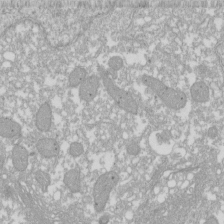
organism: Xenopus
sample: Cilia; centrioles in frog embryo cells